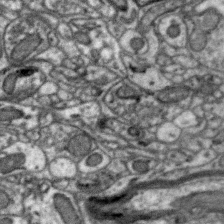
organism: Zebra finch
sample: Brain